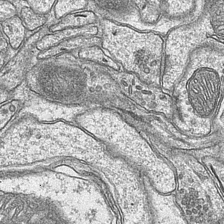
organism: Mouse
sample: CA1 Hippocampus